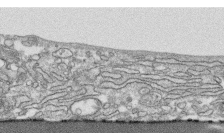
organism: Human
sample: CRL-1474